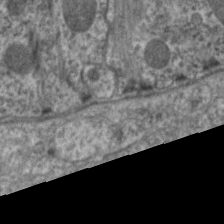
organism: C. elegans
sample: Pharynx